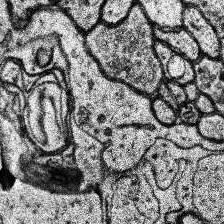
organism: Human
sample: Temporal Lobe